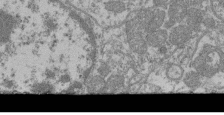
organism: Mouse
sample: Glomerulus